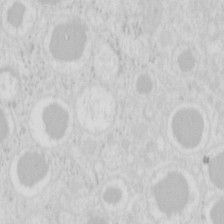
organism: Mouse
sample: Pancreas